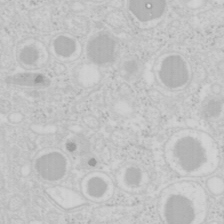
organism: Mouse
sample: Pancreas